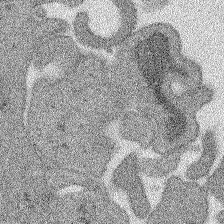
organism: Human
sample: HeLa cells